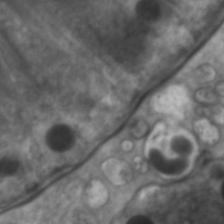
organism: C. elegans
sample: Pharynx